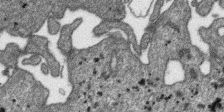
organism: Human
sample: Lung epithelial cells infected with SARS-CoV-2